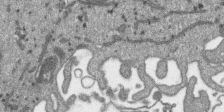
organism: Human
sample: Lung epithelial cells infected with SARS-CoV-2